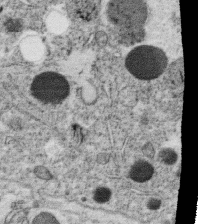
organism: C. elegans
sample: C. elegans oocyte; sperm cells